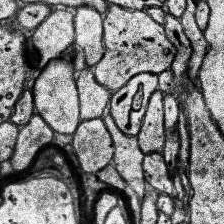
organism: Human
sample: Temporal Lobe